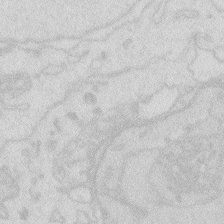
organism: Zebrafish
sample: Macrophage